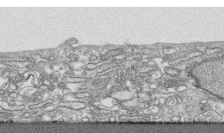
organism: Human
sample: CRL-1474